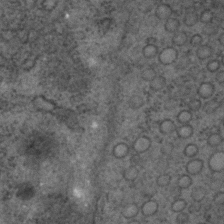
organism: C. elegans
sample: C. elegans embryo